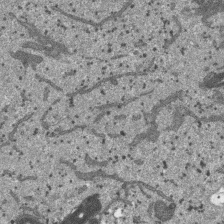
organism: Human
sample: Lung epithelial cells infected with SARS-CoV-2